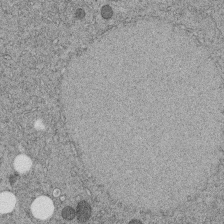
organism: C. elegans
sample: C. elegans embryo early stage